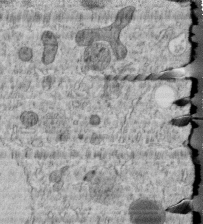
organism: C. elegans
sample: C. elegans embryo early stage